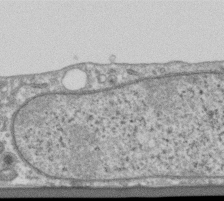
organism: Human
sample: Centriole in RPE cells